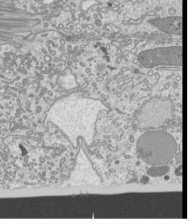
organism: Mouse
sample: Cilia; mouse epididymis